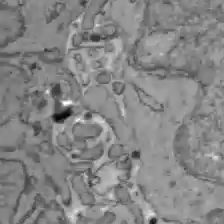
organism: C57BL Mouse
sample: Liver